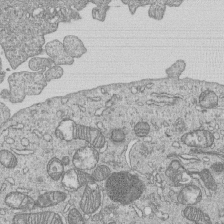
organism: Human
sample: MDA-MB-231 cells